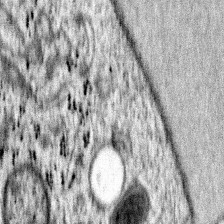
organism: Human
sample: HeLa cells